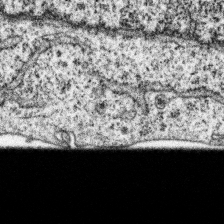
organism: Human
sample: HeLa cells